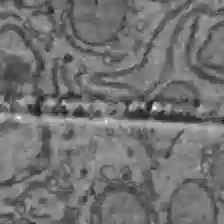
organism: C57BL Mouse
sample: Liver